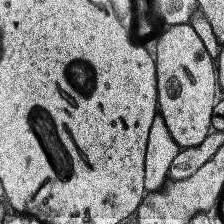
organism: Human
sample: Temporal Lobe